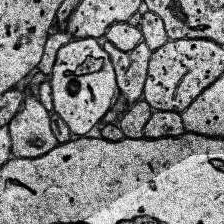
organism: Human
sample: Temporal Lobe